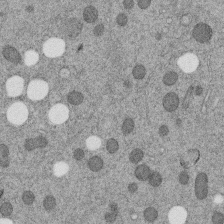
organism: C. elegans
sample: C. elegans embryo early stage